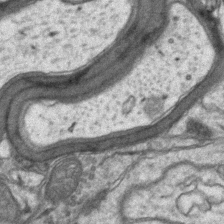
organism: Mouse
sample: CA1 Hippocampus